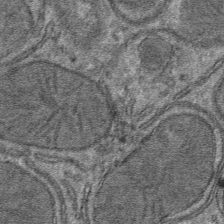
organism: Mouse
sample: Mouse hepatocytes